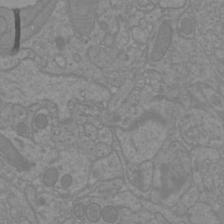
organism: Mouse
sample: Cortical neurons